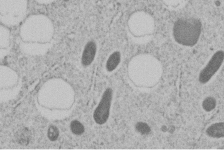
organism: C. elegans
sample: C. elegans embryo early stage